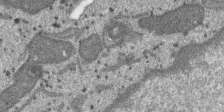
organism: Human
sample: Lung epithelial cells infected with SARS-CoV-2